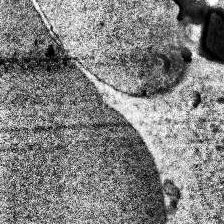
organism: Human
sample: Temporal Lobe